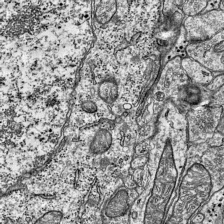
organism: Mouse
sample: Visual Cortex